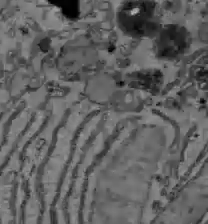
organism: C57BL Mouse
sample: Liver